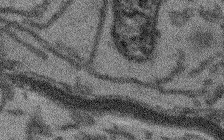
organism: Arabidopsis thaliana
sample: Root tip